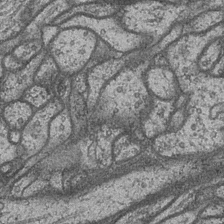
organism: Drosophila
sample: Optic medulla